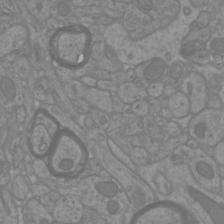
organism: Mouse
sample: Cortical neurons